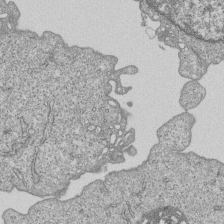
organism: Human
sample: MDA-MB-231 cells